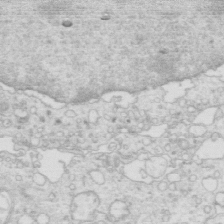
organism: Mouse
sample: Multiciliated cells